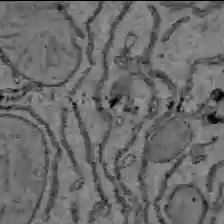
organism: C57BL Mouse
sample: Liver